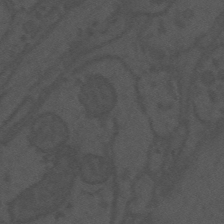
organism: Mouse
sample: Suprachiasmatic nucleus